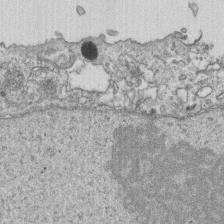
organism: Human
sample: HeLa cell HIV synapse